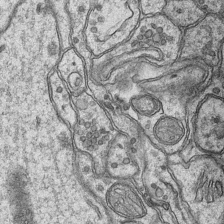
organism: Mouse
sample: CA1 Hippocampus